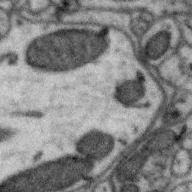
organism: Zebra finch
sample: Brain